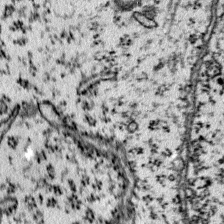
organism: Mouse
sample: Primary visual cortex